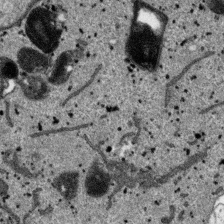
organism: Human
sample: Lung epithelial cells, uninfected (mock) control